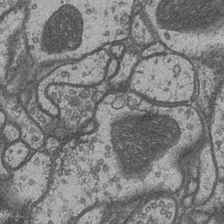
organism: Drosophila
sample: Optic medulla